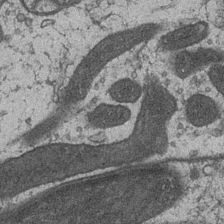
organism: Drosophila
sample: Optic medulla